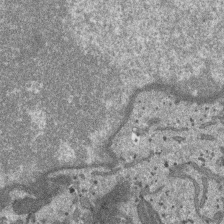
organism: Human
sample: Lung epithelial cells infected with SARS-CoV-2